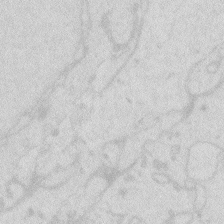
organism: Zebrafish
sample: Macrophage